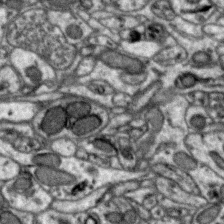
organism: Zebra finch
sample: Brain